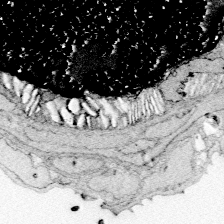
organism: Zebrafish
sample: Whole-Brain